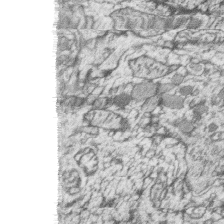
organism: Zebrafish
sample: synaptic ribbons in rod cells and cone cells